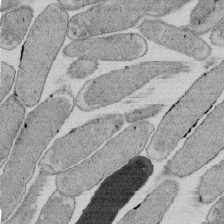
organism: E. coli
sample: Bacterial nucleoid